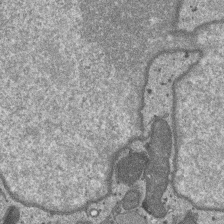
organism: Human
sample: Lung epithelial cells infected with SARS-CoV-2